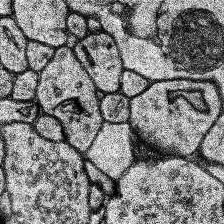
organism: Human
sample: Temporal Lobe